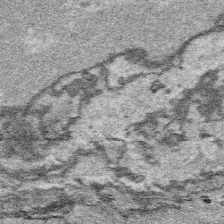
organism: Platynereis dumerilii